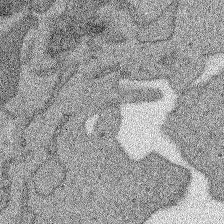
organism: Human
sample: HeLa cells